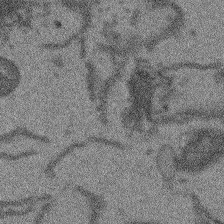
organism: Arabidopsis thaliana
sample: Root tip